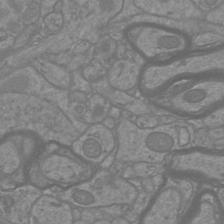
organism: Mouse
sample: Cortical neurons